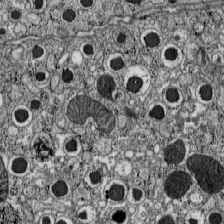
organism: C57BL Mouse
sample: Pancreatic islet